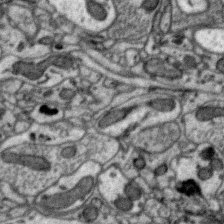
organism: Zebra finch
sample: Brain